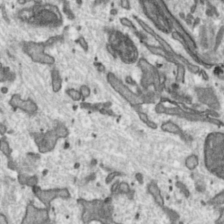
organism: Toxoplasma gondii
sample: Parasites in a vacuole inside a host cell